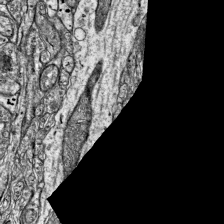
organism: Mouse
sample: Visual Cortex